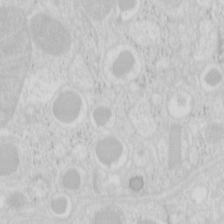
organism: Mouse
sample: Pancreas